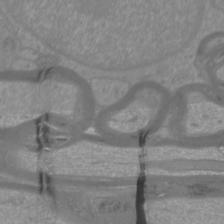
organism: Mouse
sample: Cortical neurons